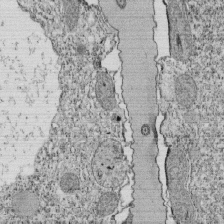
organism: Tetrahymena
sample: Cilia in tetrahymena